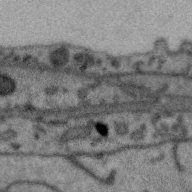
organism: Zebra finch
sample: Brain